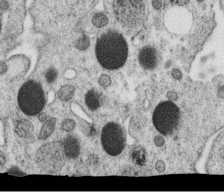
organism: C. elegans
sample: C. elegans oocyte; sperm cells